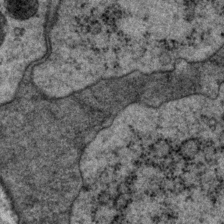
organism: P. pacificus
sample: Pharynx